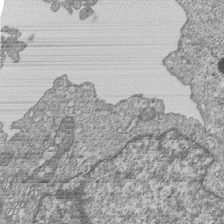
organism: Human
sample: MDA-MB-231 cells